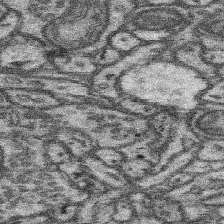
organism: Mouse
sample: Somatosensory cortex neuropil